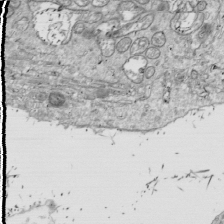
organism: Drosophila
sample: Cell division; meiosis; drosophila spermatocytes